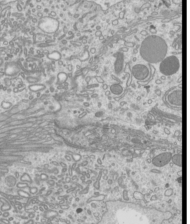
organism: Mouse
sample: Cilia; mouse epididymis